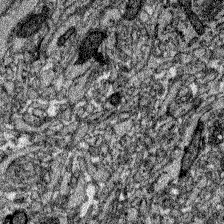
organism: Zebrafish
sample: Larval olfactory bulb